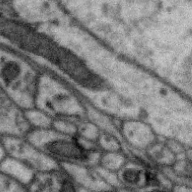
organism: Zebra finch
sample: Brain